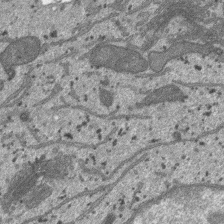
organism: Human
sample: Lung epithelial cells infected with SARS-CoV-2